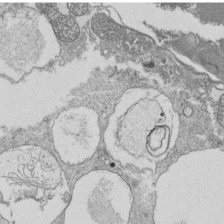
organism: Tetrahymena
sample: Cilia in tetrahymena